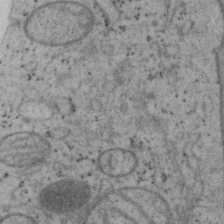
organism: Human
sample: HeLa cells